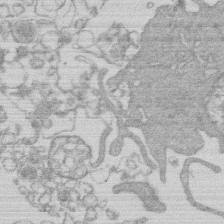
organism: Human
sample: Macrophage cells